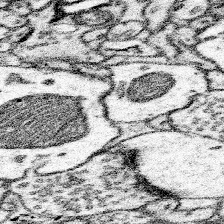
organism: Mouse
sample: Somatosensory cortex neuropil